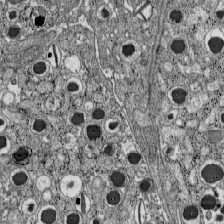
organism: C57BL Mouse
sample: Pancreatic islet